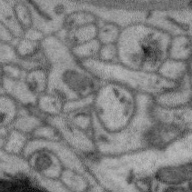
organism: Zebra finch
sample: Brain